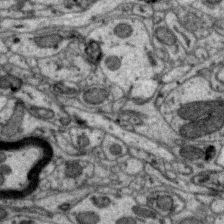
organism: Zebra finch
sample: Brain